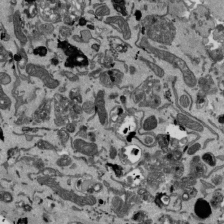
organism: Mouse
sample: ED-1 cell nuclei; centrioles